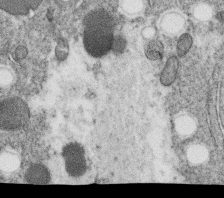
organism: C. elegans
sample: C. elegans oocyte; sperm cells